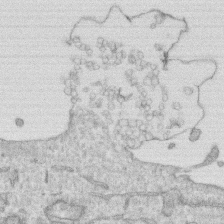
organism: Human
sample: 1205lu cells